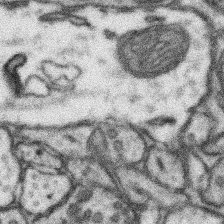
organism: Mouse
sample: Somatosensory cortex neuropil